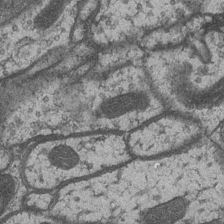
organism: Drosophila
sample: Optic medulla